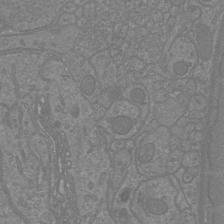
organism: Mouse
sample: Cortical neurons